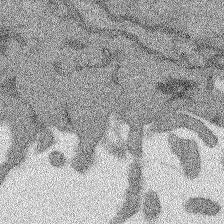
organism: Human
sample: HeLa cells